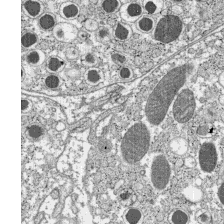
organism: C57BL Mouse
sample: Pancreatic islet